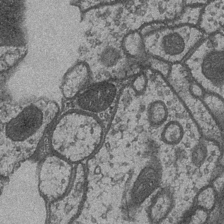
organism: Drosophila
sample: Optic medulla